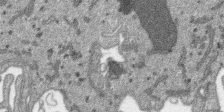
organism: Human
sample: Lung epithelial cells infected with SARS-CoV-2